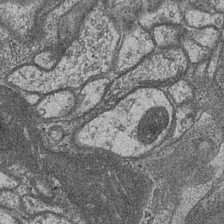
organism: Drosophila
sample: Optic medulla